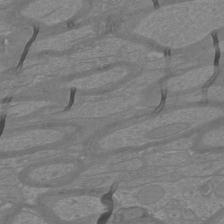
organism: Mouse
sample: Cortical neurons